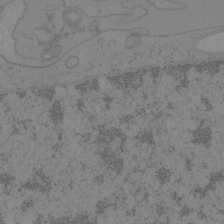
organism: Human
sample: HeLa cells